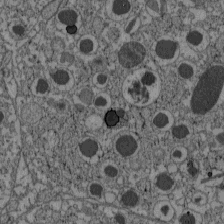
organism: C57BL Mouse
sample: Pancreatic islet